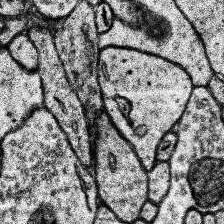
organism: Human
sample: Temporal Lobe